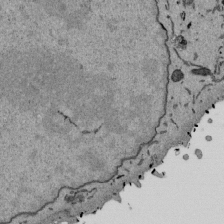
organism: Mouse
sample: ED-1 cell nuclei; centrioles